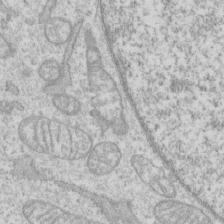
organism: Human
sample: CRL-1474